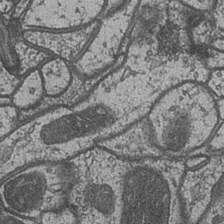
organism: Drosophila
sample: Optic medulla